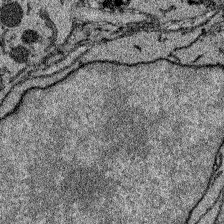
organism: Zebrafish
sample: Larval olfactory bulb